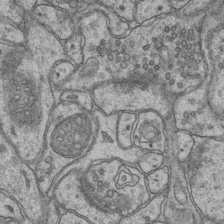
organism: Mouse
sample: CA1 Hippocampus